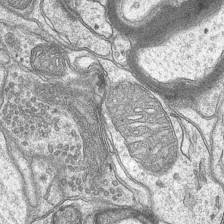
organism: Mouse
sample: CA1 Hippocampus